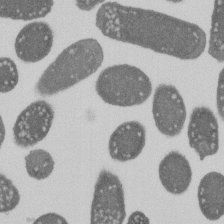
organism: E. coli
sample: Bacterial nucleoid